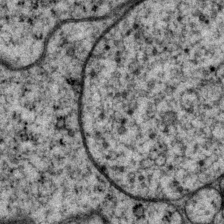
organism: P. pacificus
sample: Pharynx